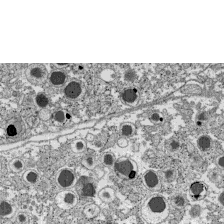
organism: C57BL Mouse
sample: Pancreatic islet